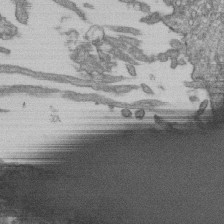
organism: Human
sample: Retinal organoid Rod and Cone cells